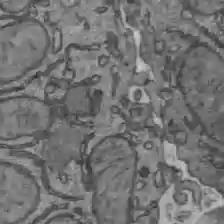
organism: C57BL Mouse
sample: Liver